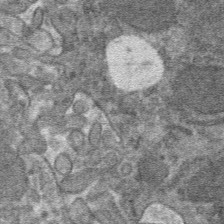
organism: Mouse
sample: Mouse hepatocytes